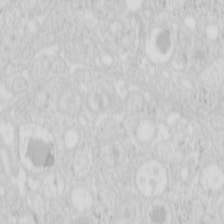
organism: Mouse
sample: Pancreas